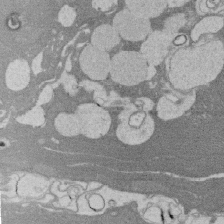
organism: Rat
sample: Salivary granule